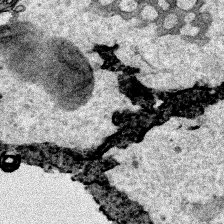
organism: Human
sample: Mitochondria in HCT116 cells